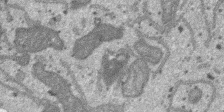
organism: Human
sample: Lung epithelial cells infected with SARS-CoV-2